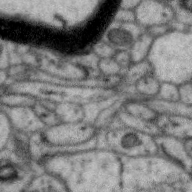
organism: Zebra finch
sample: Brain